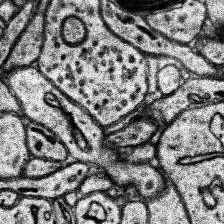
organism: Human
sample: Temporal Lobe